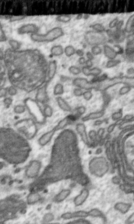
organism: Toxoplasma gondii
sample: Parasites in a vacuole inside a host cell